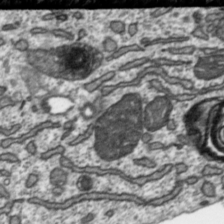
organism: Toxoplasma gondii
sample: Parasites in a vacuole inside a host cell